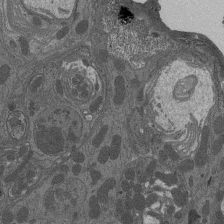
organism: Drosophila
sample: Antenna